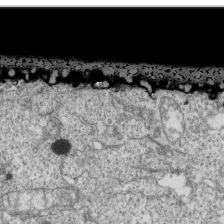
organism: Human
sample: HeLa cell HIV synapse